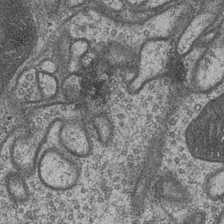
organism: Drosophila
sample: Optic medulla